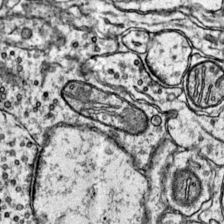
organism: Mouse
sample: Primary visual cortex